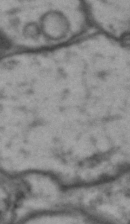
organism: Drosophila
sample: Brain